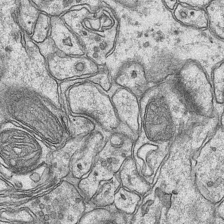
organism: Mouse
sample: CA1 Hippocampus